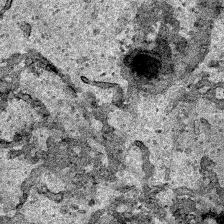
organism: Human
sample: Mitochondria in HCT116 cells